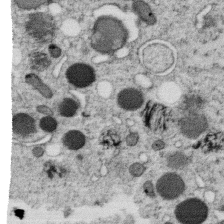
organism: C. elegans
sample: C. elegans oocyte; sperm cells